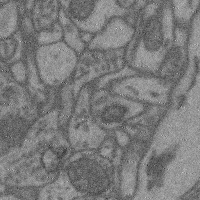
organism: Mouse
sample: Cerebral cortex